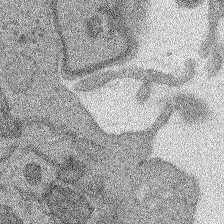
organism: Human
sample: HeLa cells